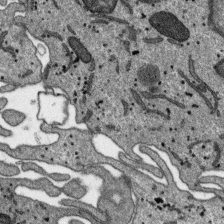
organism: Human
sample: Lung epithelial cells, uninfected (mock) control